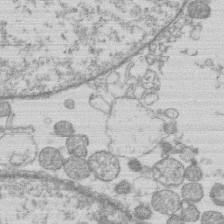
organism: Human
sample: Macrophage cells